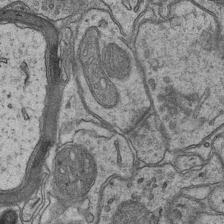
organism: Mouse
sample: CA1 Hippocampus